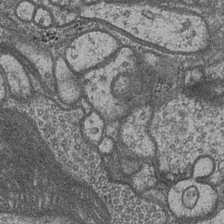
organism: Drosophila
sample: Optic medulla